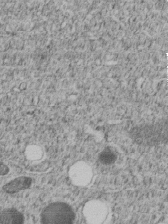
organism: C. elegans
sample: C. elegans embryo early stage